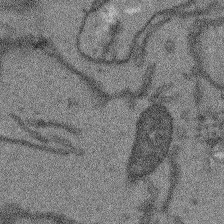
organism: Arabidopsis thaliana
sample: Root tip